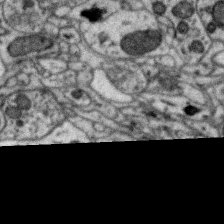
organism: Zebra finch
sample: Brain